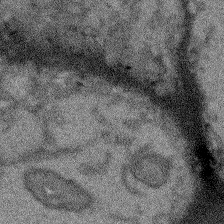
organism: Arabidopsis thaliana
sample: Root tip